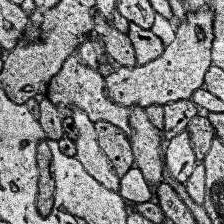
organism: Human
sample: Temporal Lobe